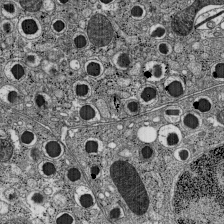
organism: C57BL Mouse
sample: Pancreatic islet